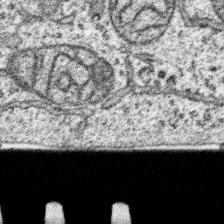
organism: Human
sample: HeLa cells